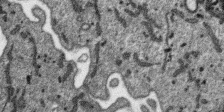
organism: Human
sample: Lung epithelial cells infected with SARS-CoV-2